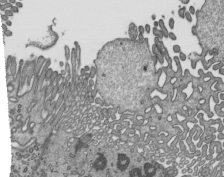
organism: Mouse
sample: Mouse epididymis efferent ductule cilia